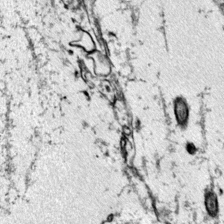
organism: Mouse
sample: Primary visual cortex